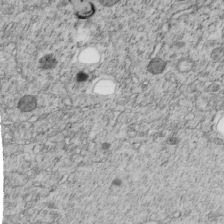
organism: C. elegans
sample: C. elegans embryo early stage